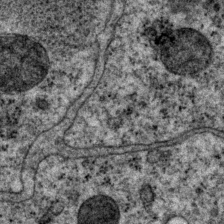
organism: P. pacificus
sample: Pharynx